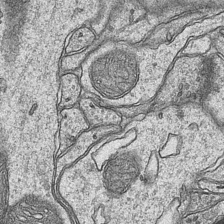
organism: Mouse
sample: CA1 Hippocampus